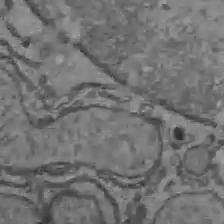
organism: C57BL Mouse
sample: Liver